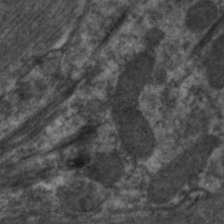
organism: C. elegans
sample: Pharynx